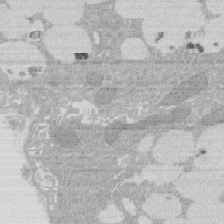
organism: Rat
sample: Salivary granule